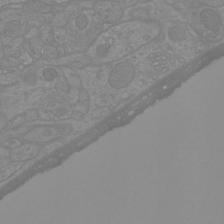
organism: Mouse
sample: Cortical neurons